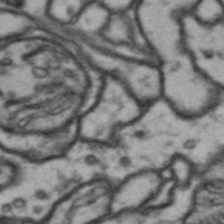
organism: Drosophila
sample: Brain